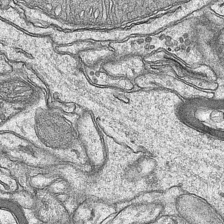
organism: Mouse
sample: CA1 Hippocampus